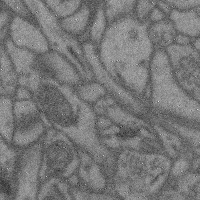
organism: Mouse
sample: Cerebral cortex